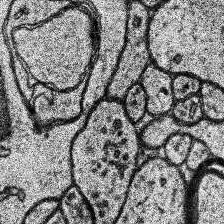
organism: Human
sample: Temporal Lobe